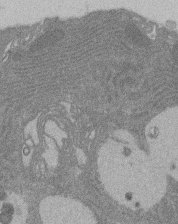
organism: Rat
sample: Salivary granule